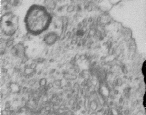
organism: Human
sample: Centriole in RPE cells